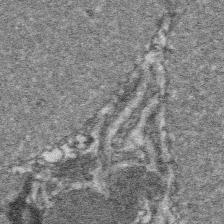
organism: Platynereis dumerilii